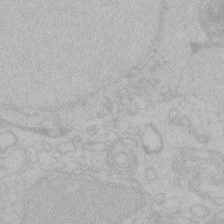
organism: Zebrafish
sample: Macrophage infected with Toxoplasma gondii